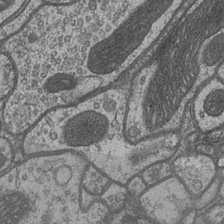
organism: Drosophila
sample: Optic medulla